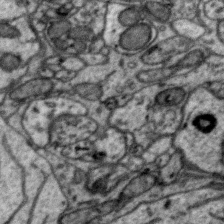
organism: Zebra finch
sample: Brain